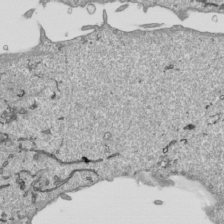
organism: Human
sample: Mitochondria in HCT116 cells